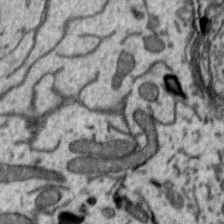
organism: Zebra finch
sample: Brain